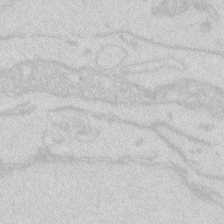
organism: Zebrafish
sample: Macrophage